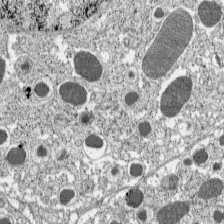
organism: C57BL Mouse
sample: Pancreatic islet